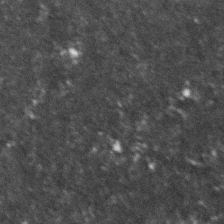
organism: Zebrafish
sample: Zebrafish embryo